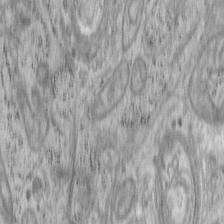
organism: Human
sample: HeLa cells